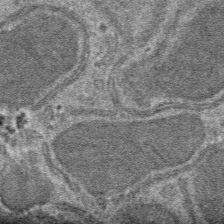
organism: Mouse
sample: Mouse hepatocytes